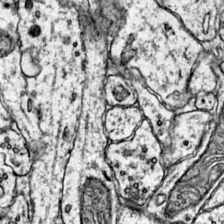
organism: Mouse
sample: Primary visual cortex